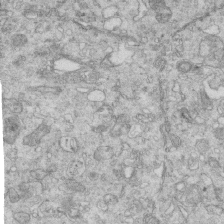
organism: Mouse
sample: Multiciliated cells